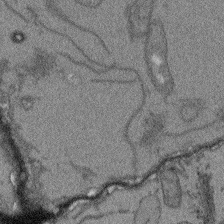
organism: Arabidopsis thaliana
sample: Root tip